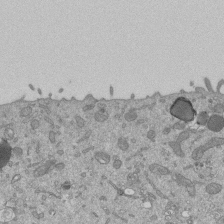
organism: Mouse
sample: ED-1 cell nuclei; centrioles